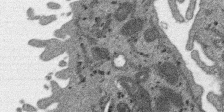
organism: Human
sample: Lung epithelial cells infected with SARS-CoV-2